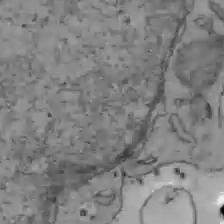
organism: C57BL Mouse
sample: Liver